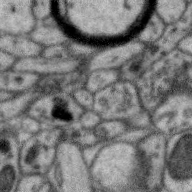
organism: Zebra finch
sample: Brain